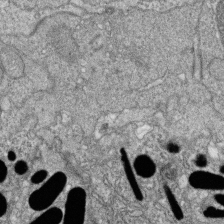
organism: Zebrafish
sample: Cilia; retinal pigment epithelium